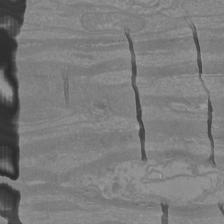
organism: Mouse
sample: Cortical neurons